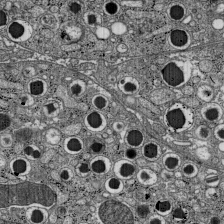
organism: C57BL Mouse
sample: Pancreatic islet